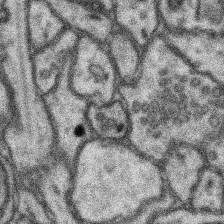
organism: Mouse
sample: Somatosensory cortex neuropil